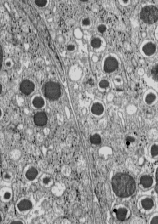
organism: C57BL Mouse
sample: Pancreatic islet